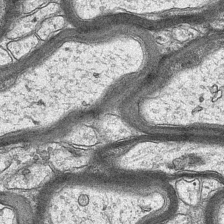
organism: Mouse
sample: CA1 Hippocampus